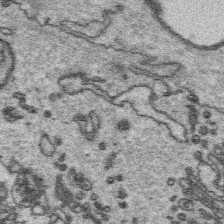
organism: Platynereis dumerilii